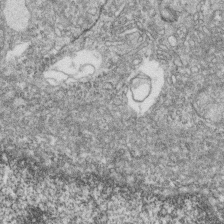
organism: Zebrafish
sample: Cilia; retinal pigment epithelium